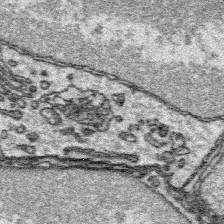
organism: Platynereis dumerilii